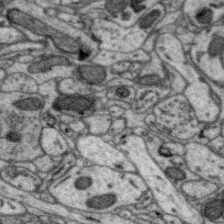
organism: Zebra finch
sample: Brain